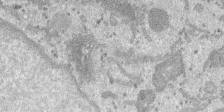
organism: Human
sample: Lung epithelial cells infected with SARS-CoV-2